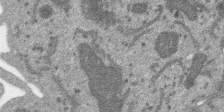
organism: Human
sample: Lung epithelial cells infected with SARS-CoV-2